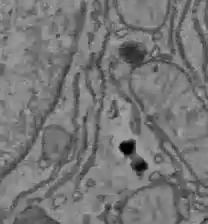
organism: C57BL Mouse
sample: Liver